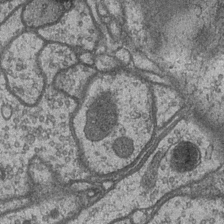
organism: Drosophila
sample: Optic medulla